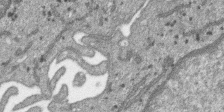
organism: Human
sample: Lung epithelial cells infected with SARS-CoV-2